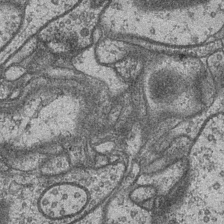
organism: Drosophila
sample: Optic medulla